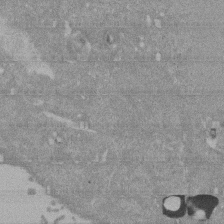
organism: Mouse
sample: ED-1 cell nuclei; centrioles